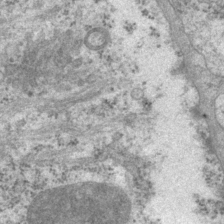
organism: P. pacificus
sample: Pharynx